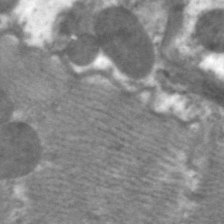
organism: C. elegans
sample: Pharynx